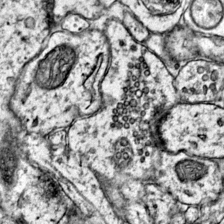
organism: Mouse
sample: Primary visual cortex